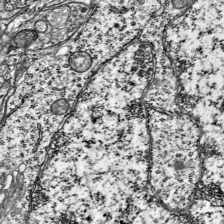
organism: Mouse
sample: Visual Cortex